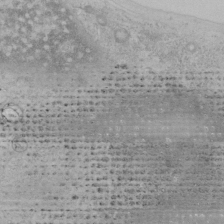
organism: Human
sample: Mitochondria in HCT116 cells